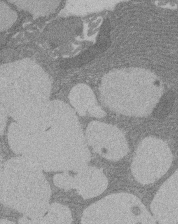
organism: Rat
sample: Salivary granule